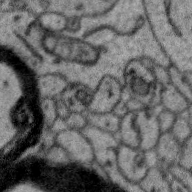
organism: Zebra finch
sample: Brain